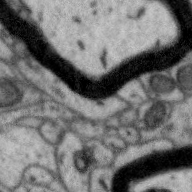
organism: Zebra finch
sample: Brain